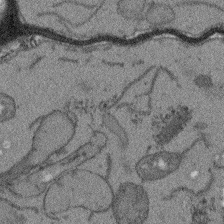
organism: Arabidopsis thaliana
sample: Root tip